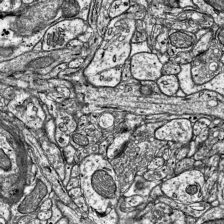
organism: Mouse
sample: Visual Cortex